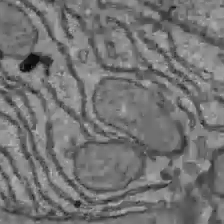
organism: C57BL Mouse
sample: Liver